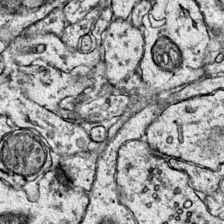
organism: Mouse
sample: Primary visual cortex